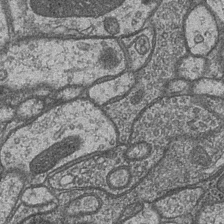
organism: Drosophila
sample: Optic medulla